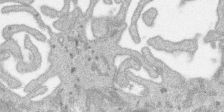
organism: Human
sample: Lung epithelial cells infected with SARS-CoV-2